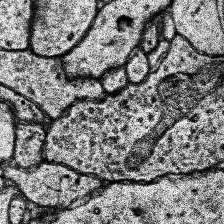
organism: Human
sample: Temporal Lobe